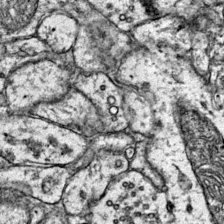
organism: Mouse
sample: Primary visual cortex